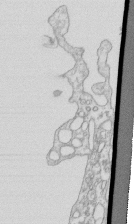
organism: Mouse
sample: Macrophages